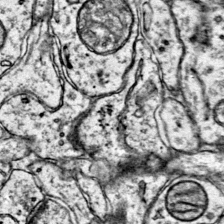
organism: Mouse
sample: Primary visual cortex